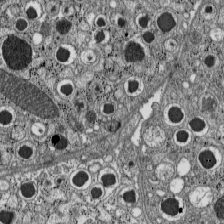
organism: C57BL Mouse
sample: Pancreatic islet